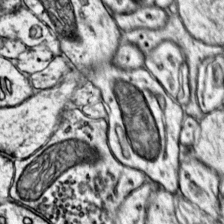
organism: Mouse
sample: Primary visual cortex